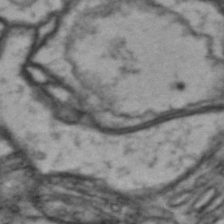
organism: Drosophila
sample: Brain